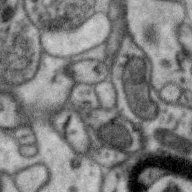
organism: Zebra finch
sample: Brain